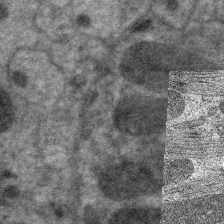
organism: C. elegans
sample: Pharynx